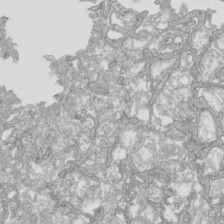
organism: Human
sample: Mitochondria in HCT116 cells